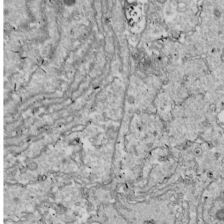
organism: Drosophila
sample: Cell division; meiosis; drosophila spermatocytes